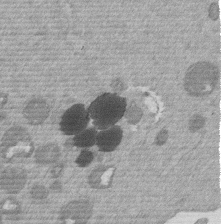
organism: Mouse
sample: Dividing mouse embryo 1 cell stage